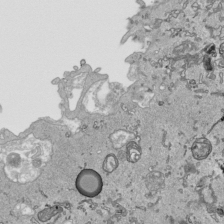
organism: Human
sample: Mitochondria in HCT116 cells